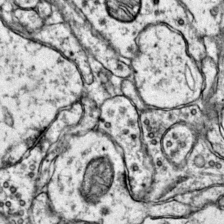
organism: Mouse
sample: Primary visual cortex